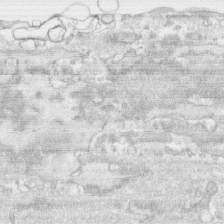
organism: Human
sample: CRL-1474